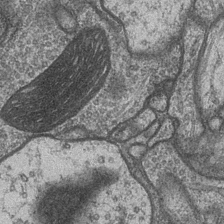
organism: Drosophila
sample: Optic medulla